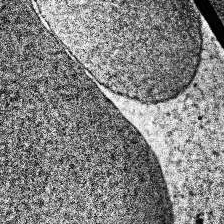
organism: Human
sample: Temporal Lobe